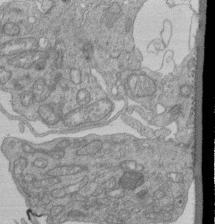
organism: Human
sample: Retinal organoid Rod and Cone cells